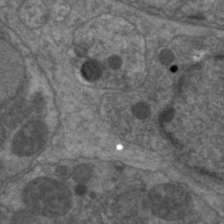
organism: C. elegans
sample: Pharynx